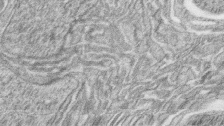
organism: Zebrafish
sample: synaptic ribbons in rod cells and cone cells